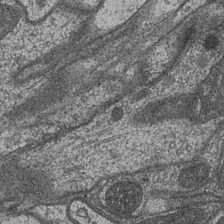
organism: Drosophila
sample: Optic medulla